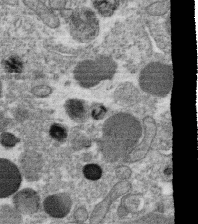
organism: C. elegans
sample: C. elegans oocyte; sperm cells